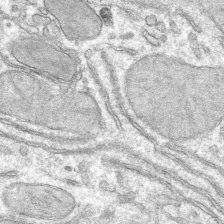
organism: Mouse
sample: Mouse hepatocytes